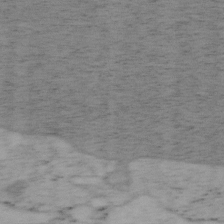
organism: Mouse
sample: OT-I killer T cells with ID8 ovarian cancer cells